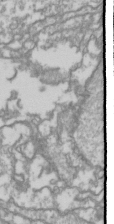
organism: Drosophila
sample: Cell division; meiosis; drosophila spermatocytes